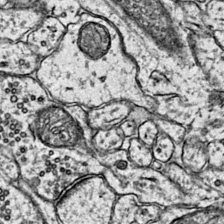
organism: Mouse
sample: Primary visual cortex